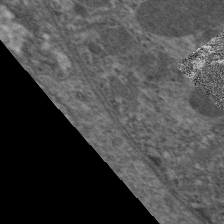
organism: C. elegans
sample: Pharynx